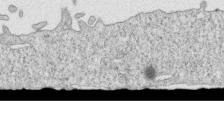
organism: Human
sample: HeLa cell HIV synapse